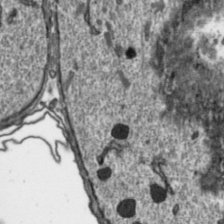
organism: Toxoplasma gondii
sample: Parasites in a vacuole inside a host cell